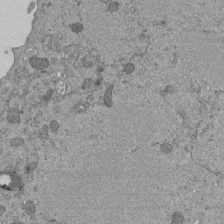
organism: Mouse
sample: ED-1 cell nuclei; centrioles